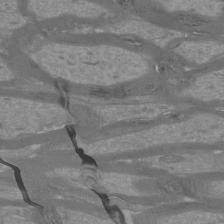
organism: Mouse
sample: Cortical neurons